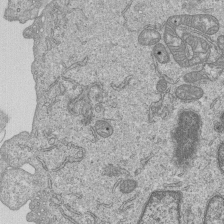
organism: Human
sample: MDA-MB-231 cells